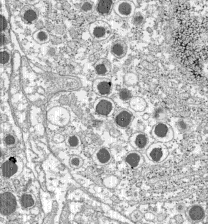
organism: C57BL Mouse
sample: Pancreatic islet